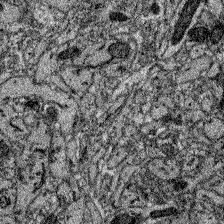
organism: Zebrafish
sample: Larval olfactory bulb